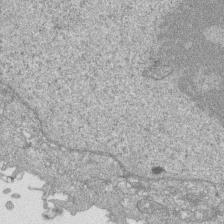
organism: Human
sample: HeLa cell HIV synapse